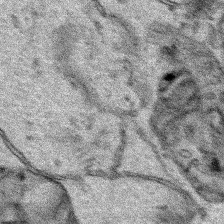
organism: Human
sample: Mitochondria in HCT116 cells